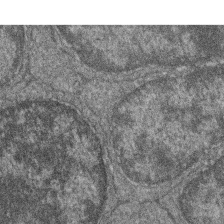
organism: Zebrafish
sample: Cilia; retinal pigment epithelium